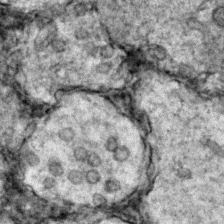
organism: Zebrafish